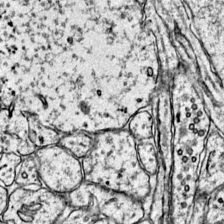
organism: Mouse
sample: Primary visual cortex